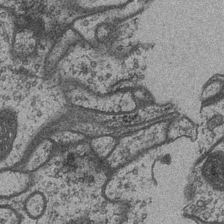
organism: Drosophila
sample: Optic medulla